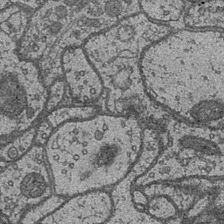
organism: Drosophila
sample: Optic medulla